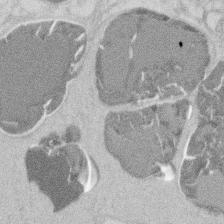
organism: Mouse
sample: T cell stromal cell synapse